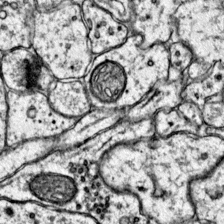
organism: Mouse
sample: Primary visual cortex